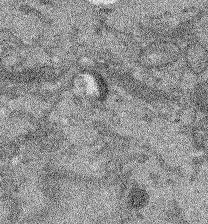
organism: Human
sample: HeLa cells